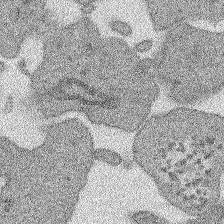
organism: Human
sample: HeLa cells